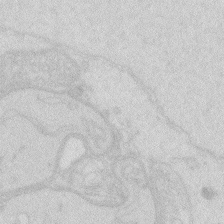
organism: Zebrafish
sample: Macrophage